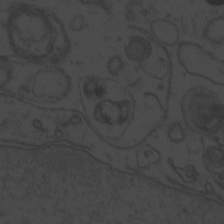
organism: Zebrafish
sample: Macrophage infected with Toxoplasma gondii